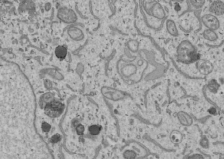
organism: Human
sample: Mitochondria in U2OS cells